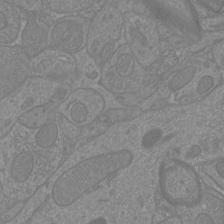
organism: Mouse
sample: Cortical neurons